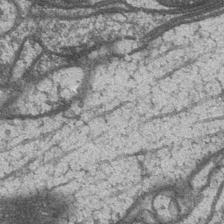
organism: Drosophila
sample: Optic medulla